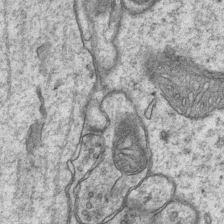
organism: Mouse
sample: CA1 Hippocampus